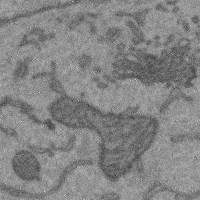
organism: Mouse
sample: Cerebral cortex